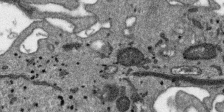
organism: Human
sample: Lung epithelial cells, uninfected (mock) control